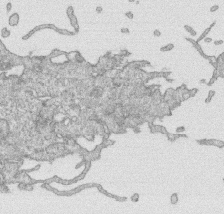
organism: Human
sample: HeLa cell HIV synapse